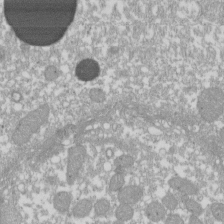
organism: Xenopus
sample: Cilia; centrioles in frog embryo cells